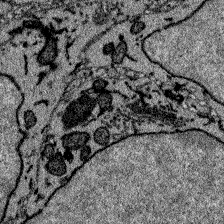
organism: Zebrafish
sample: Larval olfactory bulb